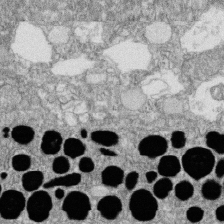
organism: Zebrafish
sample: Cilia; retinal pigment epithelium